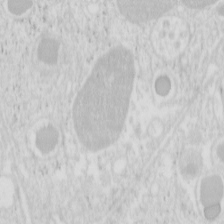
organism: Mouse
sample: Pancreas